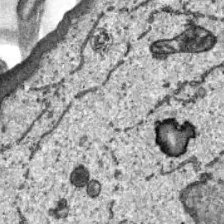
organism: Human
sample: HeLa cells